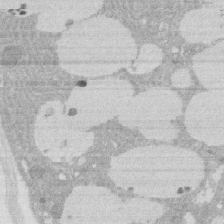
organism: Rat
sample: Salivary granule